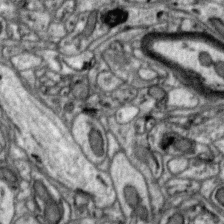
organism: Zebra finch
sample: Brain